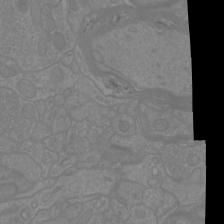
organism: Mouse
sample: Cortical neurons